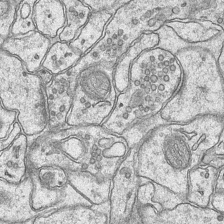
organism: Mouse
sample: CA1 Hippocampus